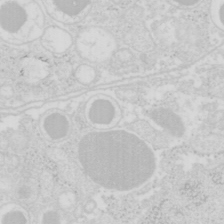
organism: Mouse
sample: Pancreas